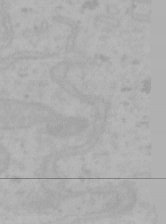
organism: Mouse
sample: Choroid plexus